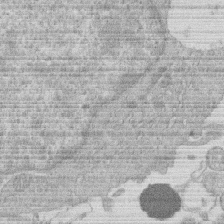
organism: Human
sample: Macrophage cells